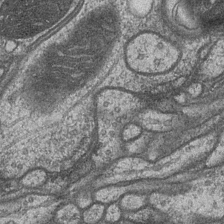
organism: Drosophila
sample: Optic medulla